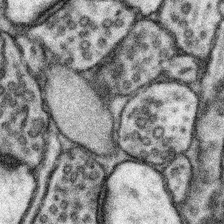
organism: Mouse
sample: Somatosensory cortex neuropil